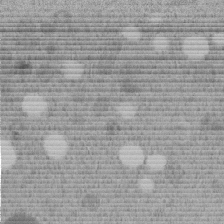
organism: C. elegans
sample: C. elegans embryo early stage